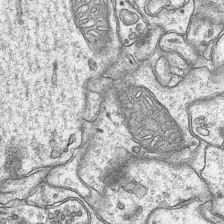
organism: Mouse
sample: CA1 Hippocampus